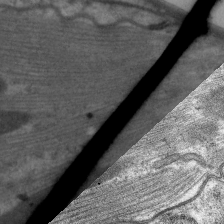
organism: C. elegans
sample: Pharynx